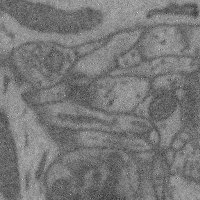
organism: Mouse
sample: Cerebral cortex